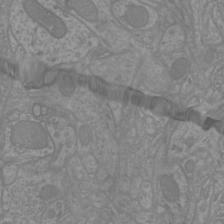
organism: Mouse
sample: Cortical neurons